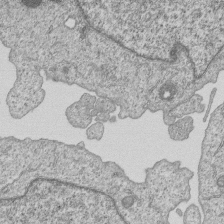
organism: Human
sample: MDA-MB-231 cells